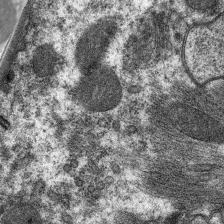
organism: C. elegans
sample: Pharynx